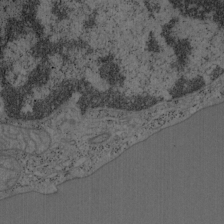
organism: Mouse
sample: OT-I killer T cells with ID8 ovarian cancer cells